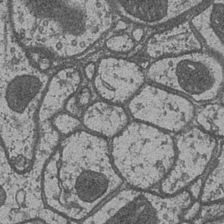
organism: Drosophila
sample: Optic medulla